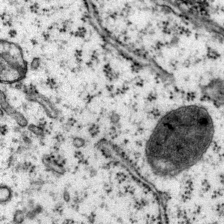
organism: Mouse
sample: Primary visual cortex